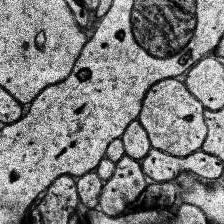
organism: Human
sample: Temporal Lobe